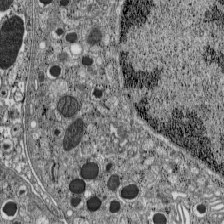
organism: C57BL Mouse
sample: Pancreatic islet